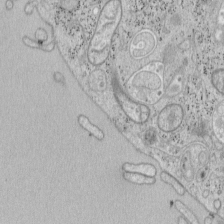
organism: Mouse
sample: OT-I killer T cells with ID8 ovarian cancer cells